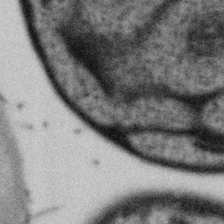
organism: Gemmata obscuriglobus